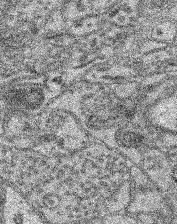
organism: Mouse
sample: Retina